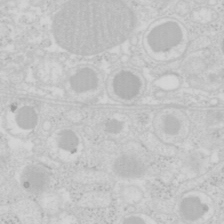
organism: Mouse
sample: Pancreas